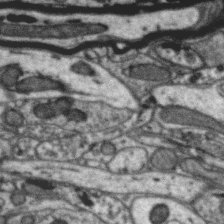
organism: Zebra finch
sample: Brain